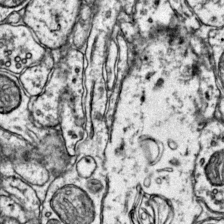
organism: Mouse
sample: Primary visual cortex